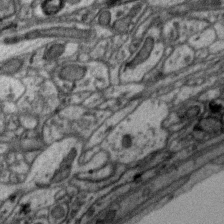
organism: Zebra finch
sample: Brain